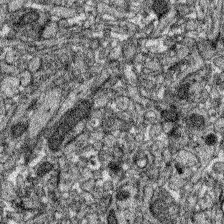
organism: Zebrafish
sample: Larval olfactory bulb